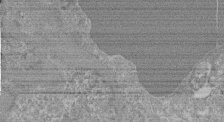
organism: Mouse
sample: Glomerulus